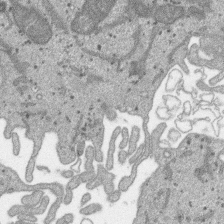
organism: Human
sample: Lung epithelial cells infected with SARS-CoV-2